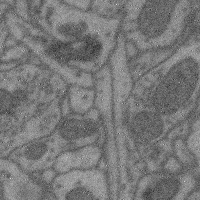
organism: Mouse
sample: Cerebral cortex